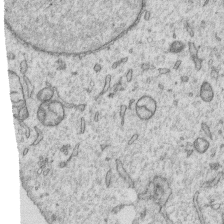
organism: Human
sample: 1205lu cells